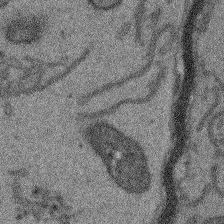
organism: Arabidopsis thaliana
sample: Root tip